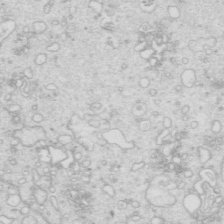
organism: Mouse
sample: Multiciliated cells